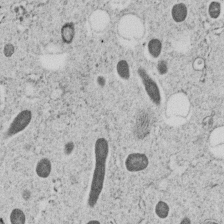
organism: C. elegans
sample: C. elegans embryo early stage